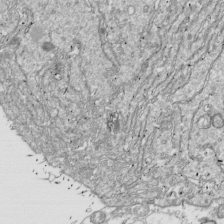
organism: Drosophila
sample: Cell division; meiosis; drosophila spermatocytes